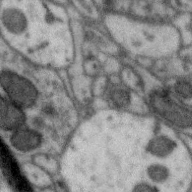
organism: Zebra finch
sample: Brain